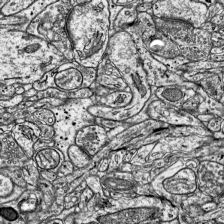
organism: Mouse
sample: Visual Cortex